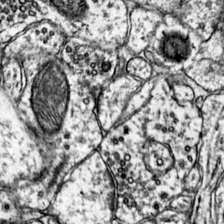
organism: Mouse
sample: Primary visual cortex